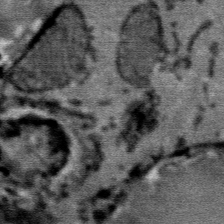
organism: Mouse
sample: Mouse Salivary gland